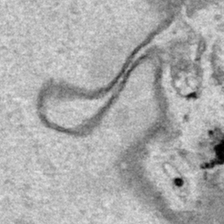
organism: Human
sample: Mitochondria in HCT116 cells